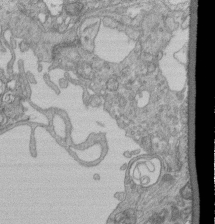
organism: Human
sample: Retinal organoid Rod and Cone cells